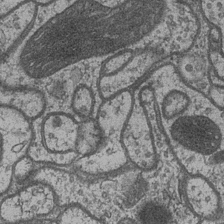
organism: Drosophila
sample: Optic medulla